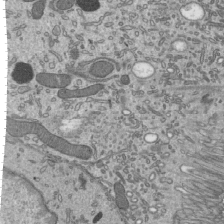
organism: Mouse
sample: Mouse epididymis efferent ductule cilia